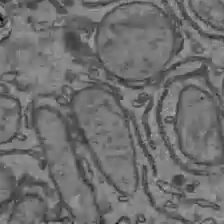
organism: C57BL Mouse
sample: Liver